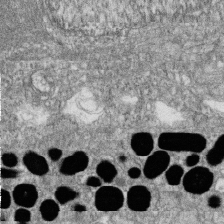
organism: Zebrafish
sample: Cilia; retinal pigment epithelium